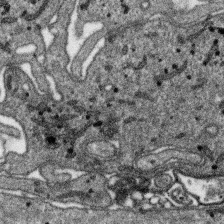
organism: Human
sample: Lung epithelial cells infected with SARS-CoV-2